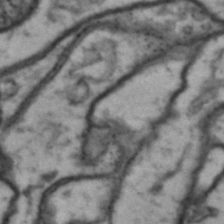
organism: Drosophila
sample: Brain